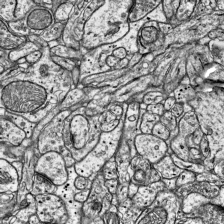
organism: Mouse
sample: Visual Cortex